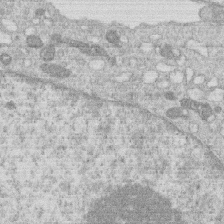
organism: Human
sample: Macrophage cells